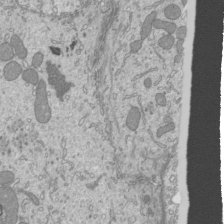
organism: Mouse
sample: Cilia; mouse epididymis